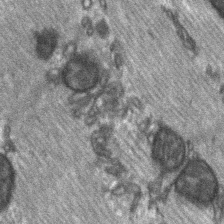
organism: C57BL Mouse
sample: Soleus